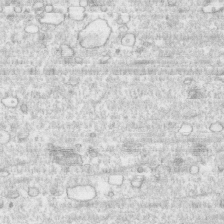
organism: Human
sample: CRL-1474